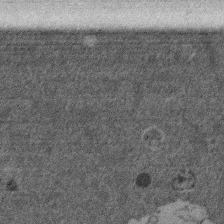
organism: Mouse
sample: Dividing mouse embryo 1 cell stage